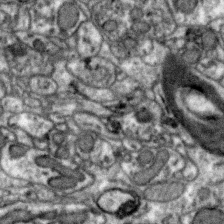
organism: Zebra finch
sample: Brain